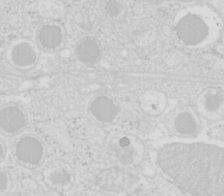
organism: Mouse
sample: Pancreas